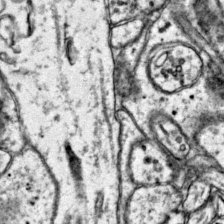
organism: Mouse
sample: Primary visual cortex